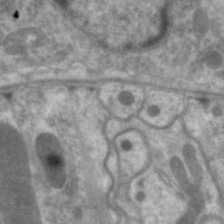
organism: C. elegans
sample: Pharynx